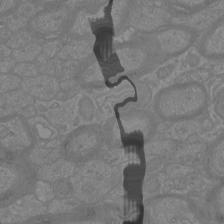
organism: Mouse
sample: Cortical neurons